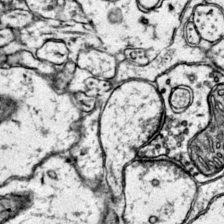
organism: Mouse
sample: Primary visual cortex